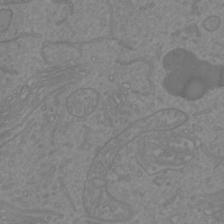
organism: Mouse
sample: Cortical neurons